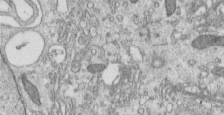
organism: Human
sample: Centriole in RPE cells